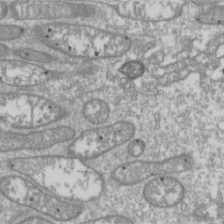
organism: Drosophila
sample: Cell division; meiosis; drosophila spermatocytes